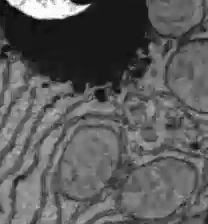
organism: C57BL Mouse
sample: Liver